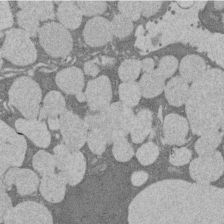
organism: Rat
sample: Salivary granule